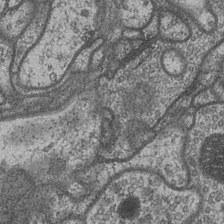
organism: Drosophila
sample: Optic medulla